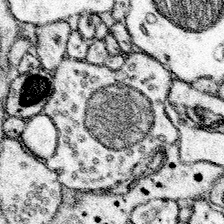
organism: Mouse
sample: Somatosensory cortex neuropil